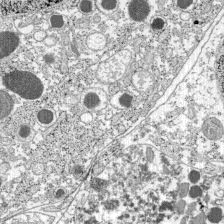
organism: C57BL Mouse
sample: Pancreatic islet